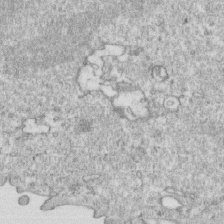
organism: Mouse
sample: Activated OT-1 CD8+ T cells